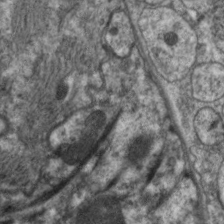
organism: C. elegans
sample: Pharynx